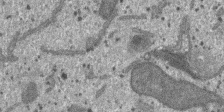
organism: Human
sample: Lung epithelial cells infected with SARS-CoV-2